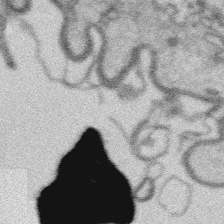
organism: Platynereis dumerilii